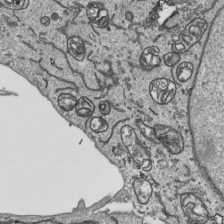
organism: Human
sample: Mitochondria in HCT116 cells